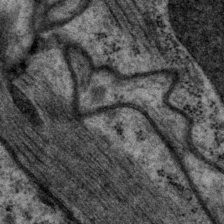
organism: P. pacificus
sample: Pharynx